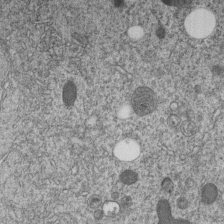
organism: C. elegans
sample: C. elegans embryo early stage